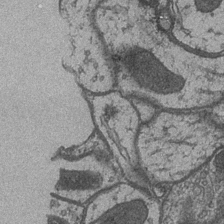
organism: Drosophila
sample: Optic medulla